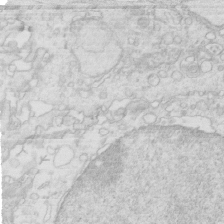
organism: Mouse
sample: Multiciliated cells